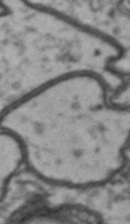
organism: Drosophila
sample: Brain